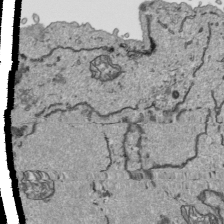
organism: Human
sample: Mitochondria in HCT116 cells